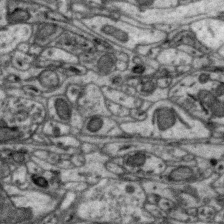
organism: Zebra finch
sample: Brain